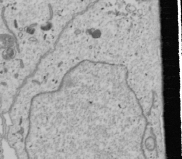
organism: Human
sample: Mitochondria in U2OS cells